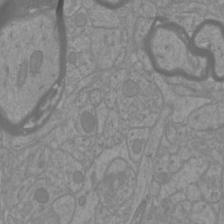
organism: Mouse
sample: Cortical neurons